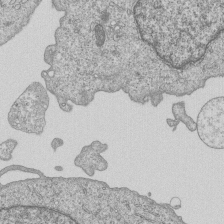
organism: Human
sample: MDA-MB-231 cells